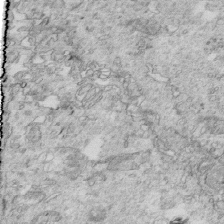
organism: Mouse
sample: Multiciliated cells